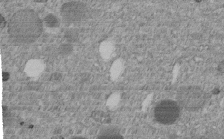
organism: C. elegans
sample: C. elegans embryo early stage